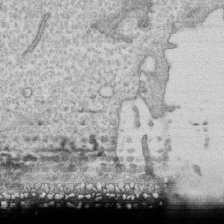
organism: Human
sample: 1205lu cells